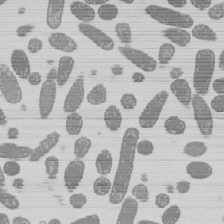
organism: E. coli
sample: Bacterial nucleoid